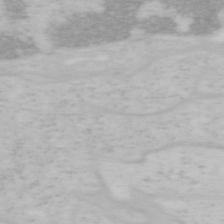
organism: Mouse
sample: OT-I killer T cells with ID8 ovarian cancer cells